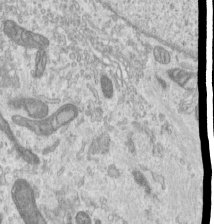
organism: Human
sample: Centriole in RPE cells